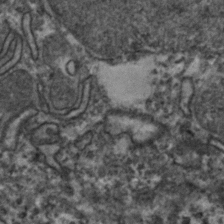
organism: Zebrafish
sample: Zebrafish embryo